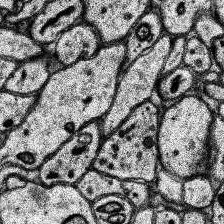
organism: Human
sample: Temporal Lobe